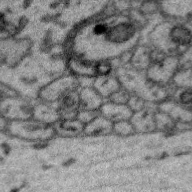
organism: Zebra finch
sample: Brain